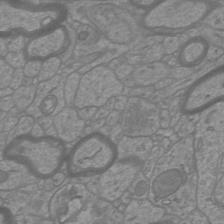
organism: Mouse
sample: Cortical neurons